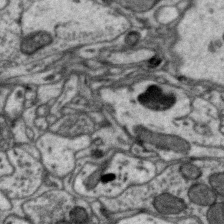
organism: Zebra finch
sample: Brain